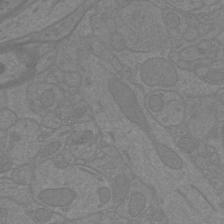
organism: Mouse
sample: Cortical neurons